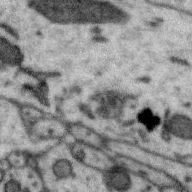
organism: Zebra finch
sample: Brain